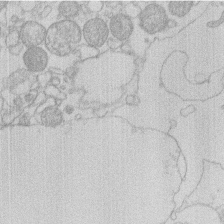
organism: Human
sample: Macrophage cells